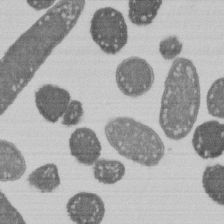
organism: E. coli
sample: Bacterial nucleoid